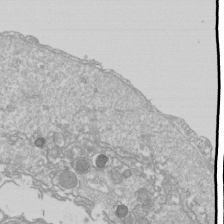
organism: Drosophila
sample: Cell division; meiosis; drosophila spermatocytes